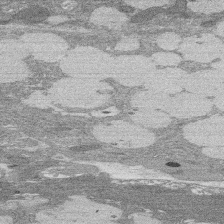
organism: Rat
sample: Salivary granule